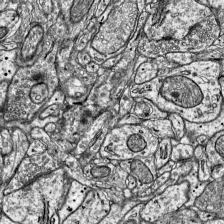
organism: Mouse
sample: Visual Cortex